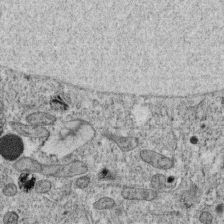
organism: C. elegans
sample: C. elegans oocyte; sperm cells